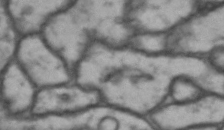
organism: Drosophila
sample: Brain